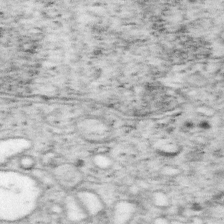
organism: Mouse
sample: OT-I killer T cells with ID8 ovarian cancer cells